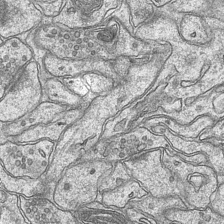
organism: Mouse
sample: CA1 Hippocampus